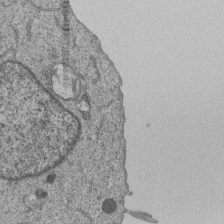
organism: Human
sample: MDA-MB-231 cells